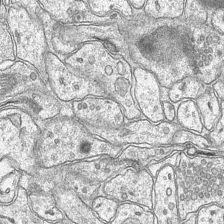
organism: Mouse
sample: CA1 Hippocampus